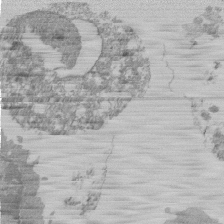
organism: Mouse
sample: Activated Pmel transgenic CD8+ T Cells